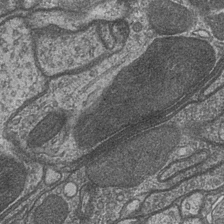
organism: Drosophila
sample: Optic medulla